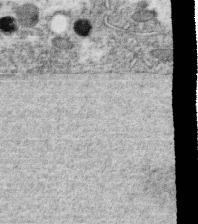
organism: C. elegans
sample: C. elegans oocyte; sperm cells